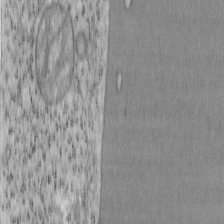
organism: Human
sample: HeLa cells